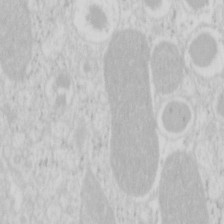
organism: Mouse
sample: Pancreas